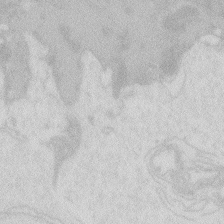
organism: Zebrafish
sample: Macrophage